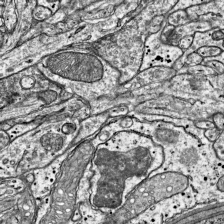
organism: Mouse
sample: Visual Cortex